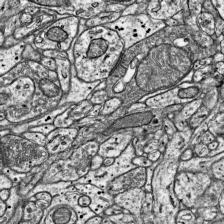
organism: Mouse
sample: Visual Cortex